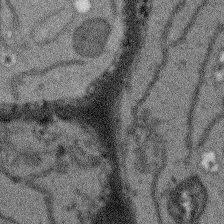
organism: Arabidopsis thaliana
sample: Root tip